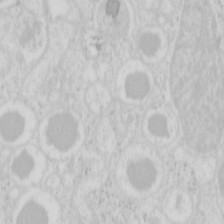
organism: Mouse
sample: Pancreas